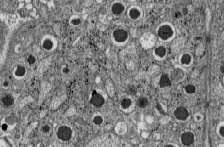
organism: C57BL Mouse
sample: Pancreatic islet